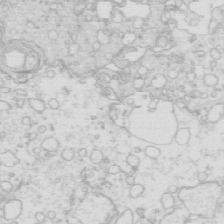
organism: Mouse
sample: Multiciliated cells